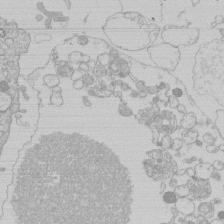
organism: Human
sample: Macrophage cells